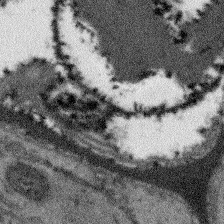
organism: Arabidopsis thaliana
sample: Root tip